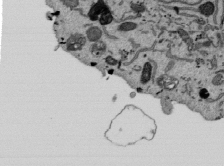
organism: Mouse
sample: ED-1 cell nuclei; centrioles